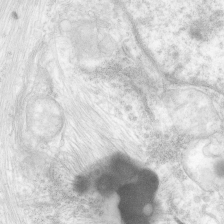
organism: Human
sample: Neocortex